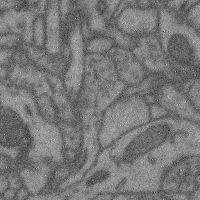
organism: Mouse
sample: Cerebral cortex